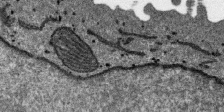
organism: Human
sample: Lung epithelial cells, uninfected (mock) control